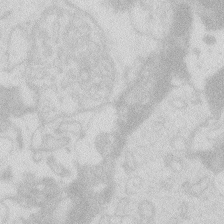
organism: Zebrafish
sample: Macrophage